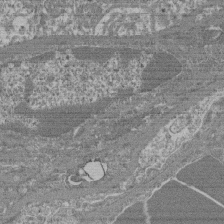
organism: Mouse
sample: Glomerulus